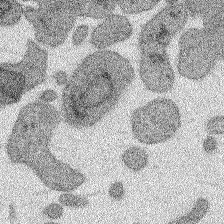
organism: Human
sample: HeLa cells